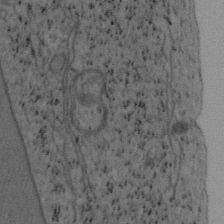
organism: Human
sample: HeLa cells